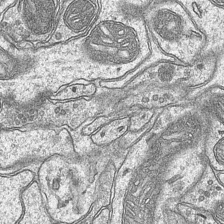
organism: Mouse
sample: CA1 Hippocampus